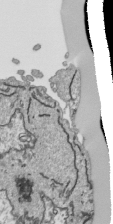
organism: Human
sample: Mitochondria in HCT116 cells